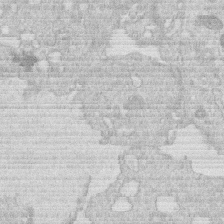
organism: Human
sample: Macrophage cells